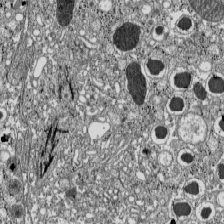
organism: C57BL Mouse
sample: Pancreatic islet